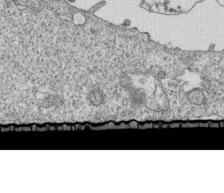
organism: Human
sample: HeLa cell HIV synapse